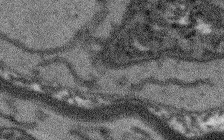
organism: Arabidopsis thaliana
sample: Root tip